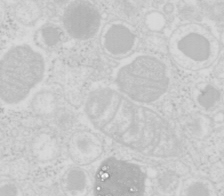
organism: Mouse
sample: Pancreas